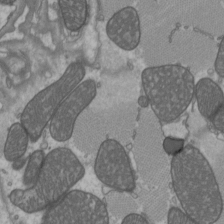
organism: C57BL Mouse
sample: Heart